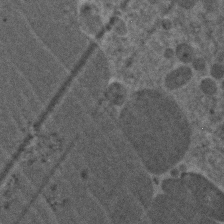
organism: Zebrafish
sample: Zebrafish embryo